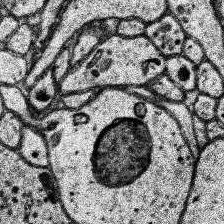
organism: Human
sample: Temporal Lobe